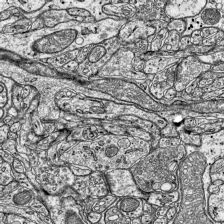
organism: Mouse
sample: Visual Cortex